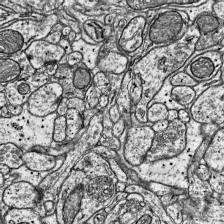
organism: Mouse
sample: Visual Cortex